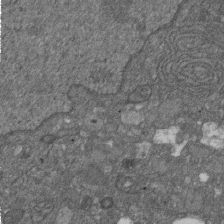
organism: Drosophila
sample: Nephrocyte